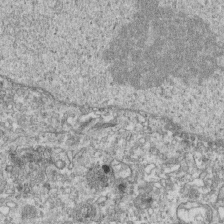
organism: Human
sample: HeLa cell HIV synapse